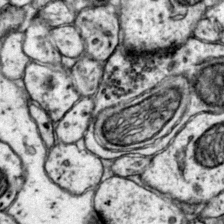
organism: Mouse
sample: Primary visual cortex